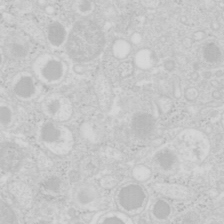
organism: Mouse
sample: Pancreas